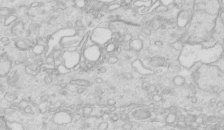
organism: Mouse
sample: Multiciliated cells